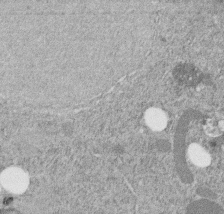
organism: C. elegans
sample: C. elegans embryo early stage